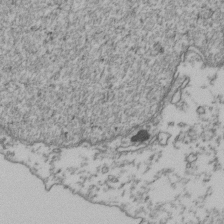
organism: Human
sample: Activated Jurkat CD4+ T cells